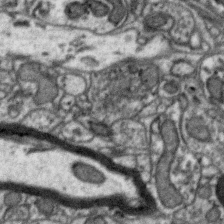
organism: Zebra finch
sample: Brain